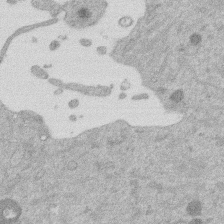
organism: Mouse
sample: Dividing mouse embryo 1 cell stage